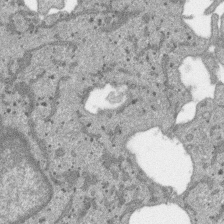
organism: Human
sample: Lung epithelial cells infected with SARS-CoV-2